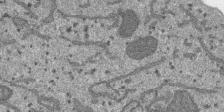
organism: Human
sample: Lung epithelial cells infected with SARS-CoV-2